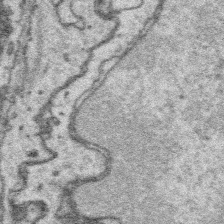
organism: Platynereis dumerilii